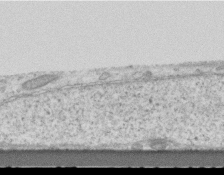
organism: Mouse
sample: Centriole in ependymal cells